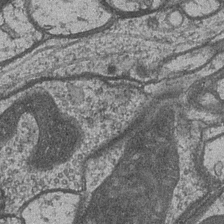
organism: Drosophila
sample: Optic medulla